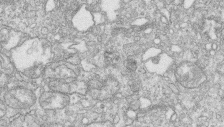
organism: Human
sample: HeLa cell HIV synapse